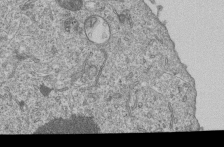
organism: Human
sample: MDA-MB-231 cells